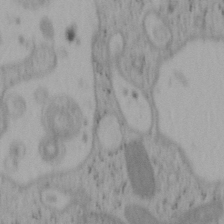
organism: Mouse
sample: OT-I killer T cells with ID8 ovarian cancer cells